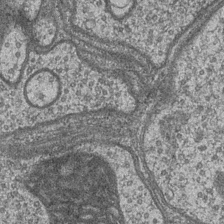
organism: Drosophila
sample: Optic medulla